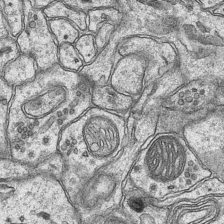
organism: Mouse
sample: CA1 Hippocampus